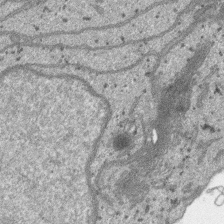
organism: Human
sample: Lung epithelial cells infected with SARS-CoV-2